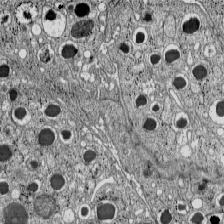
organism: C57BL Mouse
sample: Pancreatic islet